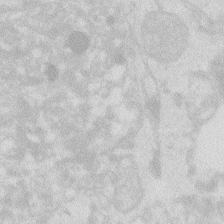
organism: Zebrafish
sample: Macrophage